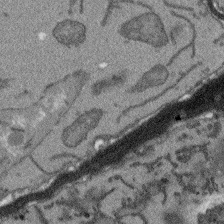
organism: Arabidopsis thaliana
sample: Root tip